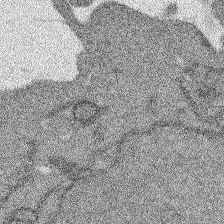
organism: Human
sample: HeLa cells